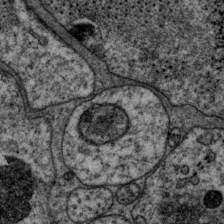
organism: P. pacificus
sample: Pharynx